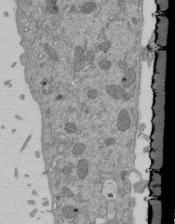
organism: Mouse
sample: ED-1 cell nuclei; centrioles